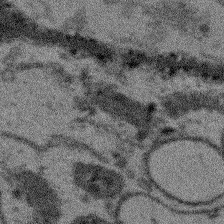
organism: Arabidopsis thaliana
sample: Root tip